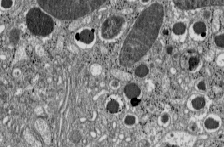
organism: C57BL Mouse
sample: Pancreatic islet